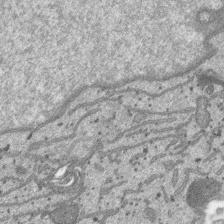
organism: Human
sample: Lung epithelial cells infected with SARS-CoV-2